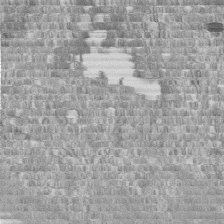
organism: Human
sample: Centriole in fibroblast cells